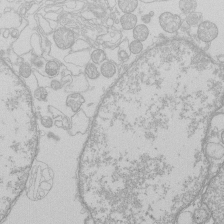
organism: Human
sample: Macrophage cells